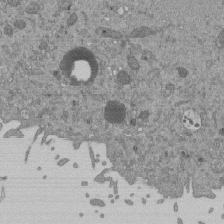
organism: Mouse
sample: ED-1 cell nuclei; centrioles